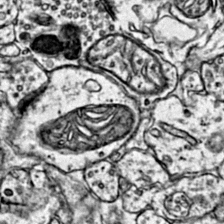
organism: Mouse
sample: Primary visual cortex